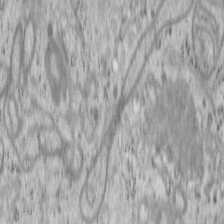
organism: Human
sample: HeLa cells